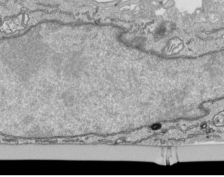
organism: Human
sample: Mitochondria in HCT116 cells